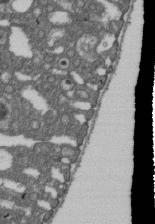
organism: Drosophila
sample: Nephrocyte